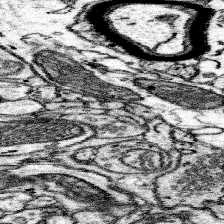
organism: Mouse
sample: Somatosensory cortex neuropil